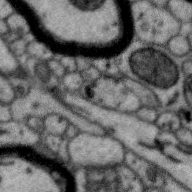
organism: Zebra finch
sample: Brain